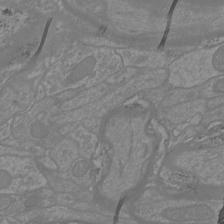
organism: Mouse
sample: Cortical neurons